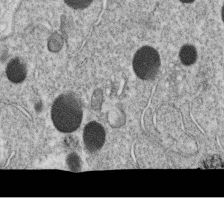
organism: C. elegans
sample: C. elegans oocyte; sperm cells